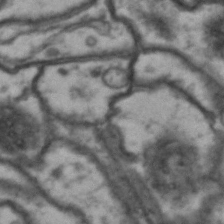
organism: Drosophila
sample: Brain